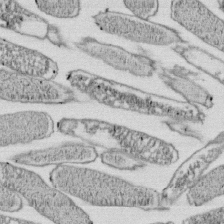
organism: E. coli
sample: Bacterial nucleoid